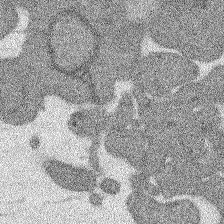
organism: Human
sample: HeLa cells